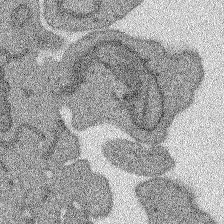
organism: Human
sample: HeLa cells